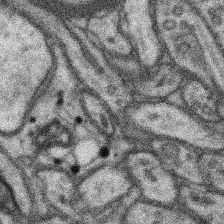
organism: Mouse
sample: Somatosensory cortex neuropil